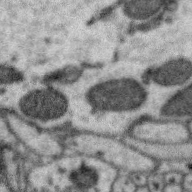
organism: Zebra finch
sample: Brain